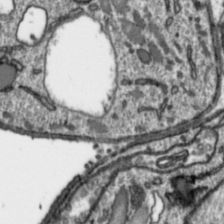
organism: Toxoplasma gondii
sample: Parasites in a vacuole inside a host cell